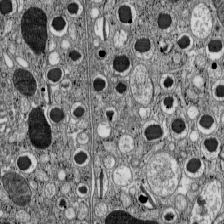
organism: C57BL Mouse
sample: Pancreatic islet